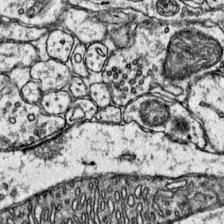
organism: Mouse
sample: Primary visual cortex